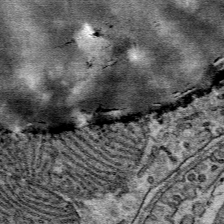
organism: Mouse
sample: Mouse Salivary gland